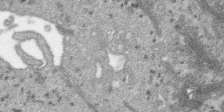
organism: Human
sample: Lung epithelial cells infected with SARS-CoV-2